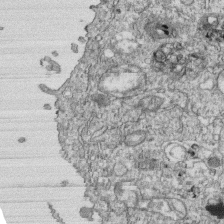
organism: Human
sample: HeLa cell HIV synapse